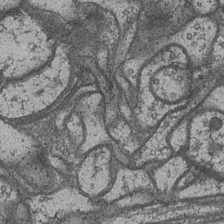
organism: Drosophila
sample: Optic medulla